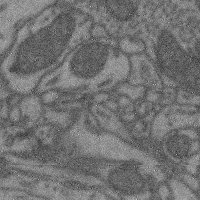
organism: Mouse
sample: Cerebral cortex